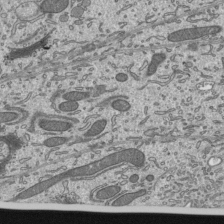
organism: Mouse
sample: Mouse epididymis efferent ductule cilia